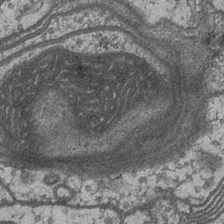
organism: Drosophila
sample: Optic medulla